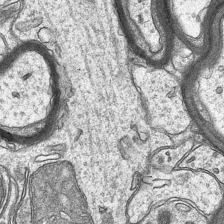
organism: Mouse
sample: CA1 Hippocampus